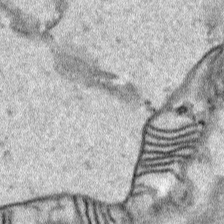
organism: Human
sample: Mitochondria in HCT116 cells